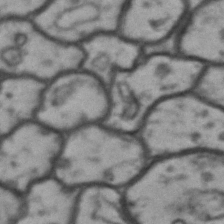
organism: Drosophila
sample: Brain